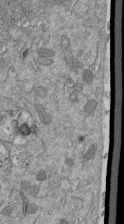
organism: Mouse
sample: ED-1 cell nuclei; centrioles